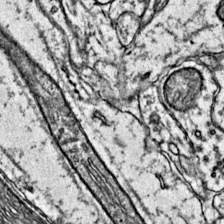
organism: Mouse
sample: Primary visual cortex